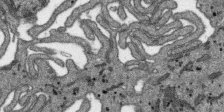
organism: Human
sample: Lung epithelial cells, uninfected (mock) control